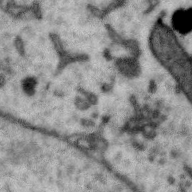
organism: Zebra finch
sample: Brain